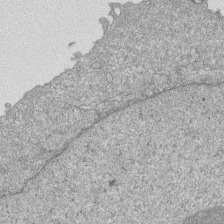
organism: Human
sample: HeLa cell HIV synapse